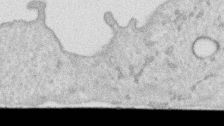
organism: Human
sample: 1205lu cells